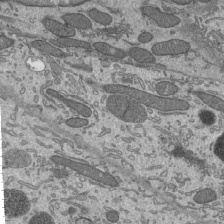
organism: Mouse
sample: Mouse epididymis efferent ductule cilia